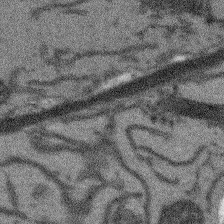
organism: Arabidopsis thaliana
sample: Root tip